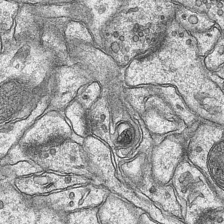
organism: Mouse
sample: CA1 Hippocampus